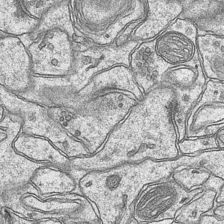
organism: Mouse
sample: CA1 Hippocampus